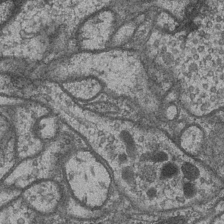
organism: Drosophila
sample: Optic medulla